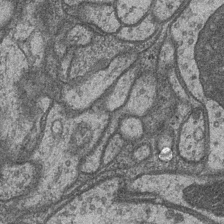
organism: Drosophila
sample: Optic medulla